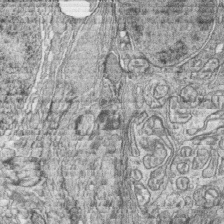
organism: Zebrafish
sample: synaptic ribbons in rod cells and cone cells